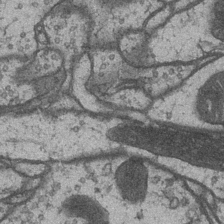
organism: Drosophila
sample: Optic medulla